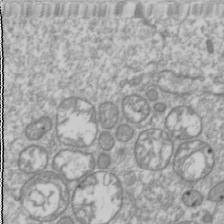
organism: Drosophila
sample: Cell division; meiosis; drosophila spermatocytes